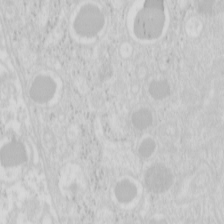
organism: Mouse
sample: Pancreas